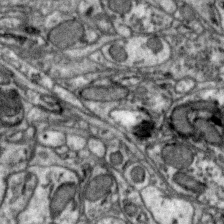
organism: Zebra finch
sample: Brain